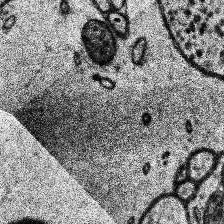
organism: Human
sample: Temporal Lobe